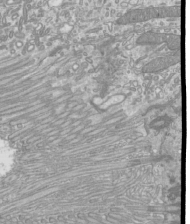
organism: Mouse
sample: Cilia; mouse epididymis